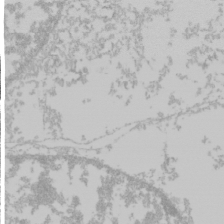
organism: Mouse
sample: Cancer cell death in ED-1 cells